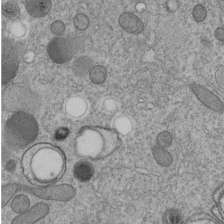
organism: C. elegans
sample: C. elegans embryo early stage